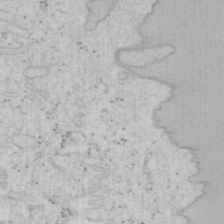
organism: Human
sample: HeLa cells